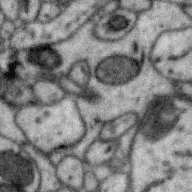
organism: Zebra finch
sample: Brain